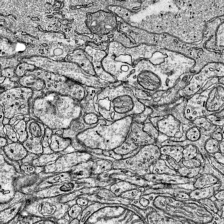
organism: Mouse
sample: Visual Cortex